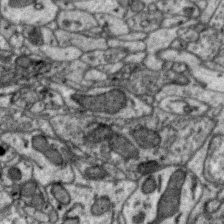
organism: Zebra finch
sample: Brain